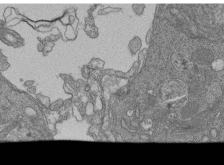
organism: Human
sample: Retinal organoid Rod and Cone cells